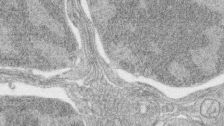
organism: Zebrafish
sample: synaptic ribbons in rod cells and cone cells